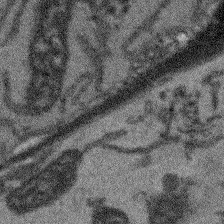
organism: Arabidopsis thaliana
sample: Root tip